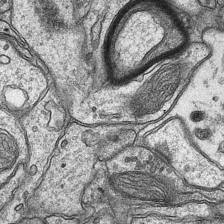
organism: Mouse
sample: CA1 Hippocampus